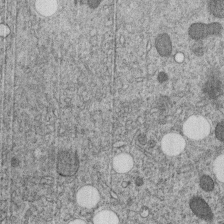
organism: C. elegans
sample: C. elegans embryo early stage